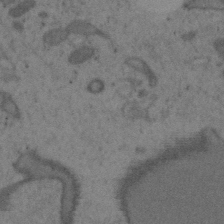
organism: Human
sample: HeLa cells